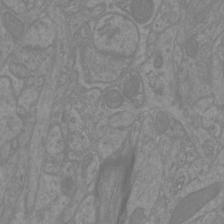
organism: Mouse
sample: Cortical neurons